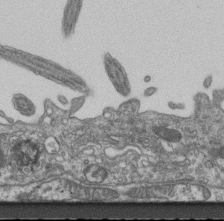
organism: Mouse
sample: Centriole in ependymal cells